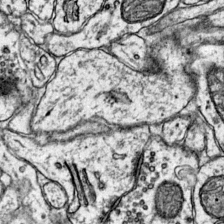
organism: Mouse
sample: Primary visual cortex